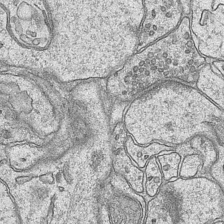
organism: Mouse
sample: CA1 Hippocampus